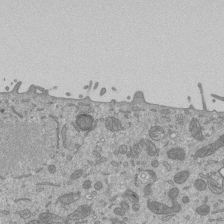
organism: Mouse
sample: ED-1 cell nuclei; centrioles